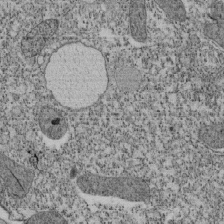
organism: Tetrahymena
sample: Cilia in tetrahymena